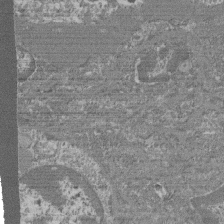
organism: Mouse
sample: Glomerulus